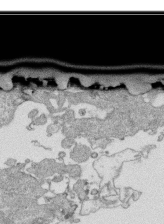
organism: Human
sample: HeLa cell HIV synapse